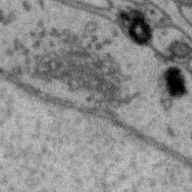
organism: Zebra finch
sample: Brain